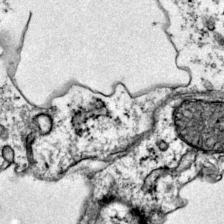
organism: Mouse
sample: Primary visual cortex